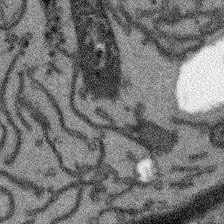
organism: Arabidopsis thaliana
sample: Root tip